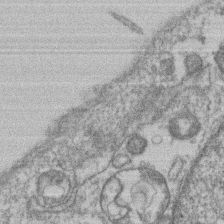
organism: Mouse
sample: T cell stromal cell synapse